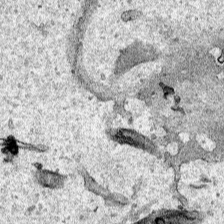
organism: Human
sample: Mitochondria in HCT116 cells